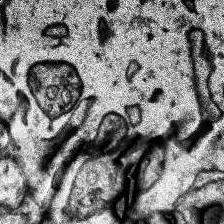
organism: Human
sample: Temporal Lobe